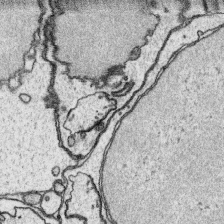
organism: Platynereis dumerilii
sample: Parapodia